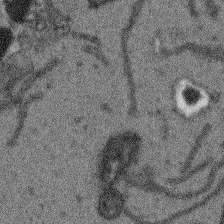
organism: Arabidopsis thaliana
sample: Root tip